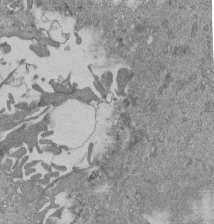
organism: Mouse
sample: ED-1 cell nuclei; centrioles